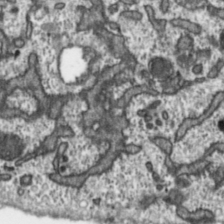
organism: Toxoplasma gondii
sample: Parasites in a vacuole inside a host cell